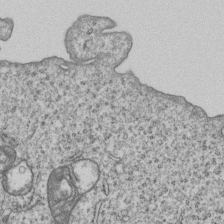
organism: Human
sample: MDA-MB-231 cells